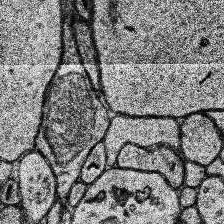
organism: Human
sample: Temporal Lobe